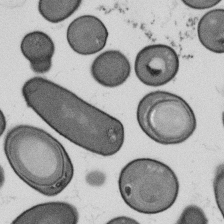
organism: B. subtilis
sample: Bacterial spore